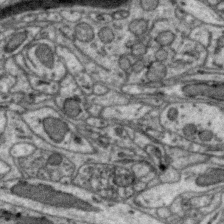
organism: Zebra finch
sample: Brain